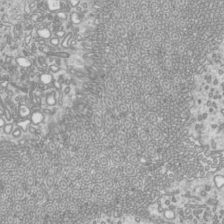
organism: Mouse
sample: Cilia; mouse epididymis